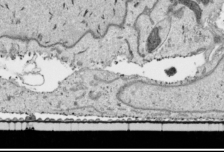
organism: Human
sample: Mitochondria in HCT116 cells